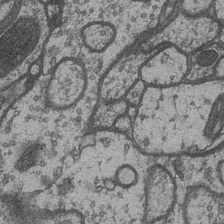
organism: Drosophila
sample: Optic medulla